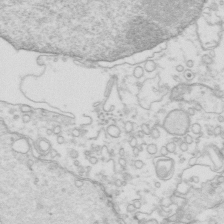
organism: Mouse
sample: Multiciliated cells